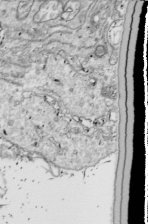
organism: Drosophila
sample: Cell division; meiosis; drosophila spermatocytes